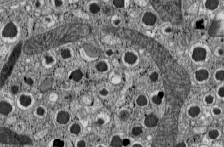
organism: C57BL Mouse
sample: Pancreatic islet